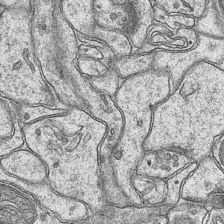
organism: Mouse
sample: CA1 Hippocampus